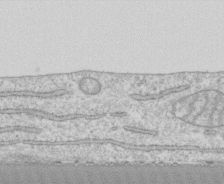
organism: Human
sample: CRL-1474